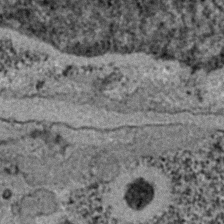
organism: C. elegans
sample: C. elegans embryo